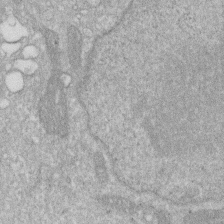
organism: Human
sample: HIV infected U937 cells